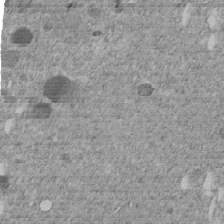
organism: C. elegans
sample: C. elegans embryo early stage